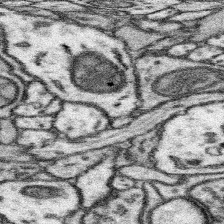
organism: Mouse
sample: Somatosensory cortex neuropil